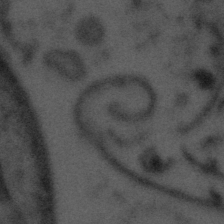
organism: Tuwongella immobilis